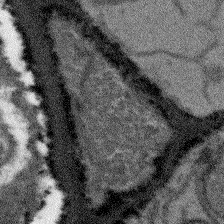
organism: Arabidopsis thaliana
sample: Root tip